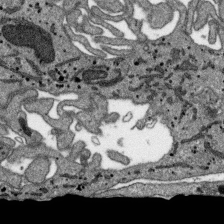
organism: Human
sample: Lung epithelial cells, uninfected (mock) control